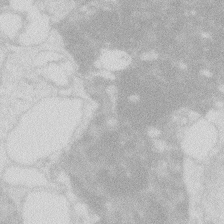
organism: Zebrafish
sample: Macrophage